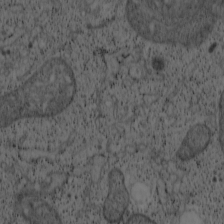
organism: African green monkey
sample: COS-7 cells